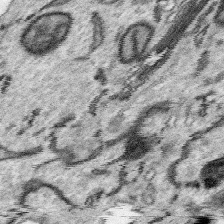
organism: Human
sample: HeLa cells